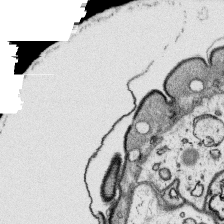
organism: Platynereis dumerilii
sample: Parapodia